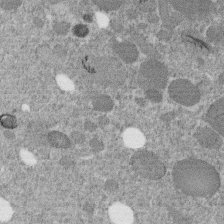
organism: C. elegans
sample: C. elegans embryo early stage